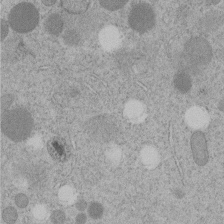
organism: C. elegans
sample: C. elegans embryo early stage